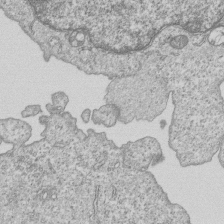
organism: Human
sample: MDA-MB-231 cells